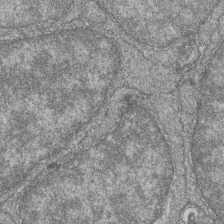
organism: Zebrafish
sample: Cilia; retinal pigment epithelium